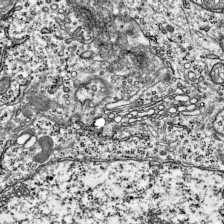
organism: Mouse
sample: Visual Cortex